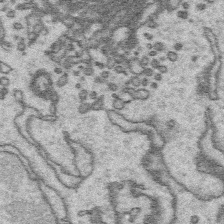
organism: Platynereis dumerilii